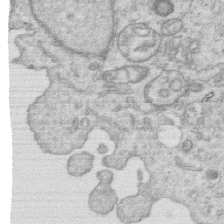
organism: Human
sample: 1205lu cells